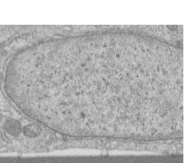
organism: Human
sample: Centriole in RPE cells